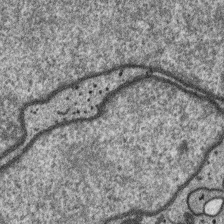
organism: Human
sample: Lung epithelial cells infected with SARS-CoV-2